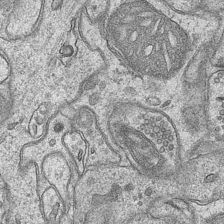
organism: Mouse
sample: CA1 Hippocampus